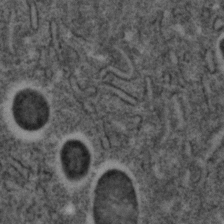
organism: C. elegans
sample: C. elegans embryo